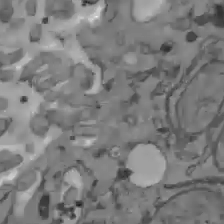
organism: C57BL Mouse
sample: Liver